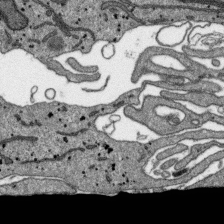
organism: Human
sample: Lung epithelial cells, uninfected (mock) control